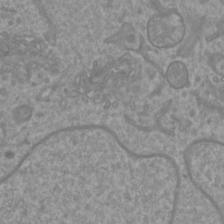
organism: Mouse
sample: Cortical neurons